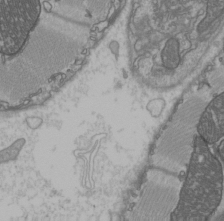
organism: C57BL Mouse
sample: Heart